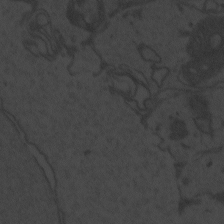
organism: Zebrafish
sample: Macrophage infected with Toxoplasma gondii